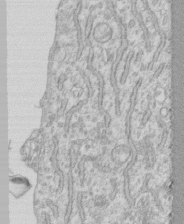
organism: Human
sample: CRL-1474